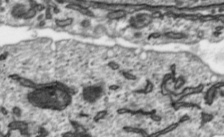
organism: Toxoplasma gondii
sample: Parasites in a vacuole inside a host cell